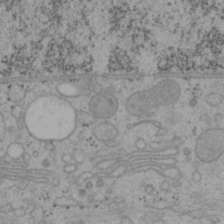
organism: Human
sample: HeLa cells